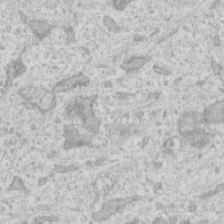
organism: Human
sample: Fibroblast cells